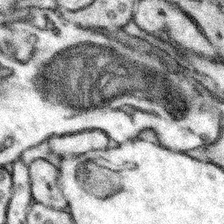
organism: Mouse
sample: Somatosensory cortex neuropil